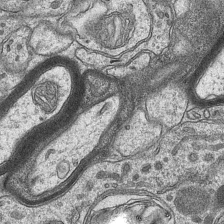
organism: Mouse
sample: CA1 Hippocampus